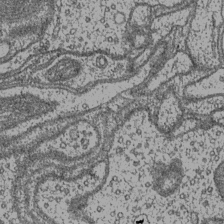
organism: Drosophila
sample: Optic medulla